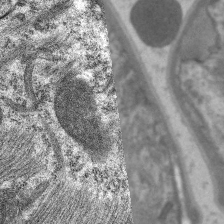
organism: C. elegans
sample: Pharynx